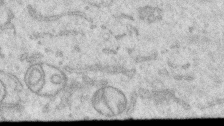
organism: Human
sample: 1205lu cells